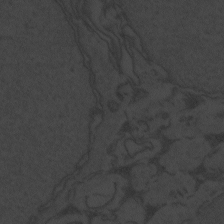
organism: Zebrafish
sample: Macrophage infected with Toxoplasma gondii